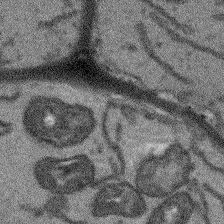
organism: Arabidopsis thaliana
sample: Root tip